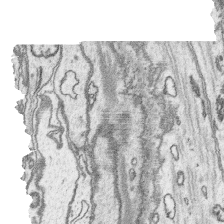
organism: Platynereis dumerilii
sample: Parapodia